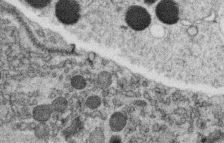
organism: C. elegans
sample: C. elegans oocyte; sperm cells